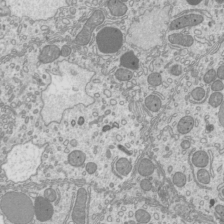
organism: Mouse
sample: Cilia; mouse epididymis